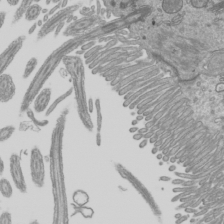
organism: Mouse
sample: Cilia; mouse epididymis